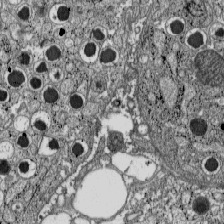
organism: C57BL Mouse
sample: Pancreatic islet